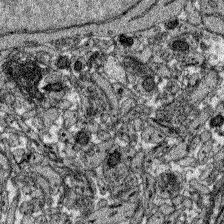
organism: Zebrafish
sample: Larval olfactory bulb